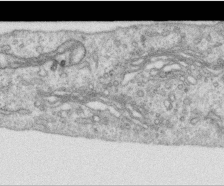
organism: Human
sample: Centriole in RPE cells